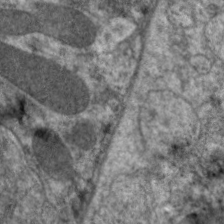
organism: C. elegans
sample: Pharynx